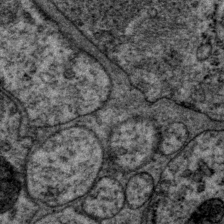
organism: P. pacificus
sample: Pharynx